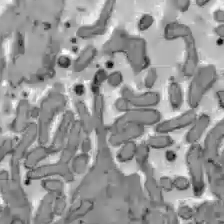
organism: C57BL Mouse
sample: Liver